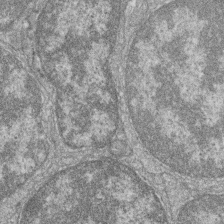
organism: Zebrafish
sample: Cilia; retinal pigment epithelium